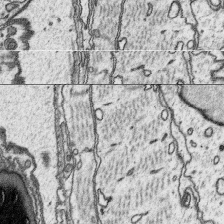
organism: Platynereis dumerilii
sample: Parapodia